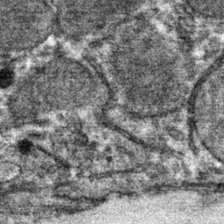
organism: Mouse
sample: Mouse hepatocytes